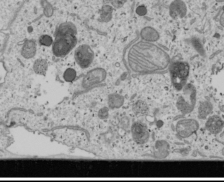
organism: Human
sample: Mitochondria in U2OS cells